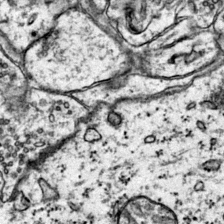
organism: Mouse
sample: Primary visual cortex